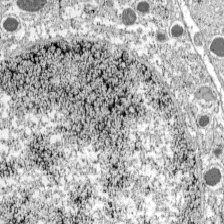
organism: C57BL Mouse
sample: Pancreatic islet